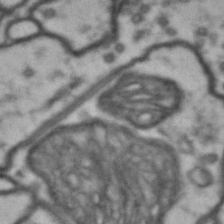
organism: Drosophila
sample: Brain